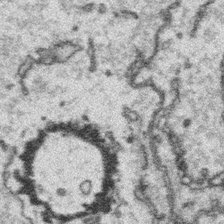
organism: Platynereis dumerilii